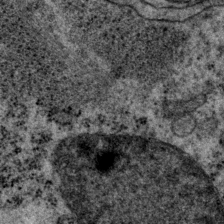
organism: P. pacificus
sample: Pharynx